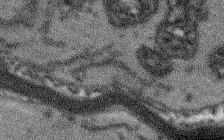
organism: Arabidopsis thaliana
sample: Root tip